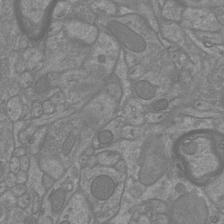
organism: Mouse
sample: Cortical neurons